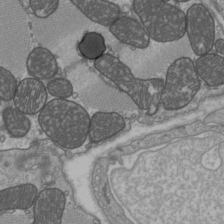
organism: C57BL Mouse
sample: Heart